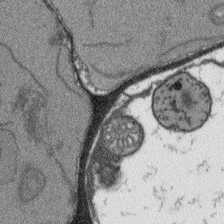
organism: Arabidopsis thaliana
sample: Root tip